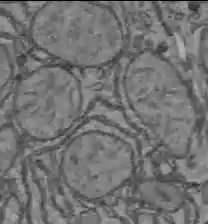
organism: C57BL Mouse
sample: Liver